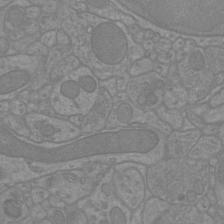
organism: Mouse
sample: Cortical neurons